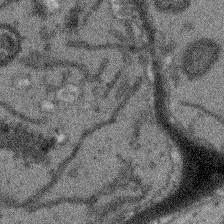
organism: Arabidopsis thaliana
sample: Root tip